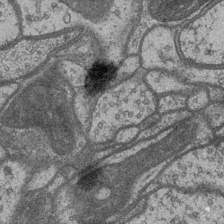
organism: Drosophila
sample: Optic medulla